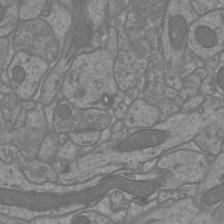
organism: Mouse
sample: Cortical neurons